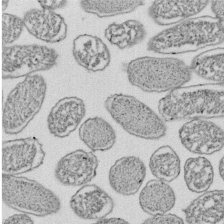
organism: E. coli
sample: Bacterial nucleoid